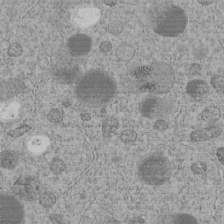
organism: C. elegans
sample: C. elegans embryo early stage